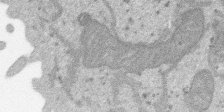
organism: Human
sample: Lung epithelial cells infected with SARS-CoV-2